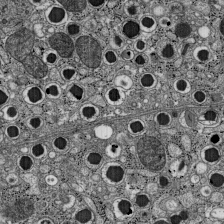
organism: C57BL Mouse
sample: Pancreatic islet